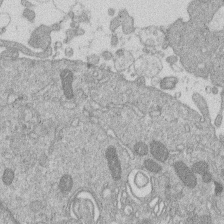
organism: Human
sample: Macrophage cells